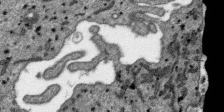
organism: Human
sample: Lung epithelial cells, uninfected (mock) control